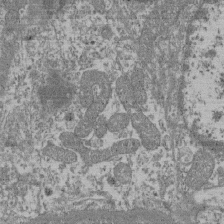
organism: Mouse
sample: Glomerulus